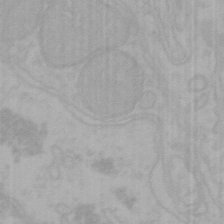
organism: Mouse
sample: Choroid plexus